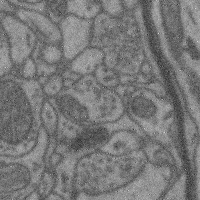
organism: Mouse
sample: Cerebral cortex